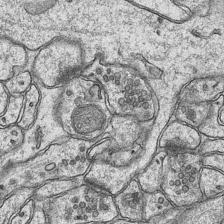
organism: Mouse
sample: CA1 Hippocampus